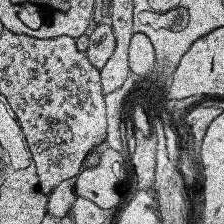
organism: Human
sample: Temporal Lobe